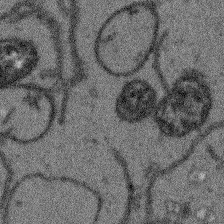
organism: Arabidopsis thaliana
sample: Root tip